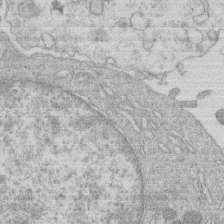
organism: Human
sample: Macrophage cells